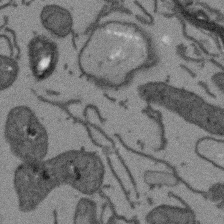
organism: Arabidopsis thaliana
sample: Root tip